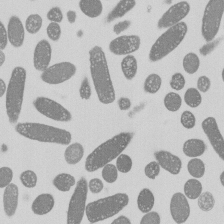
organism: E. coli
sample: Bacterial nucleoid